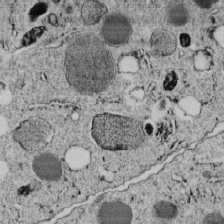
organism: C. elegans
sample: C. elegans embryo early stage